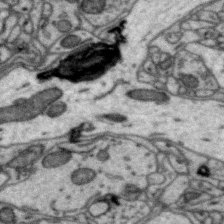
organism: Zebra finch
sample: Brain